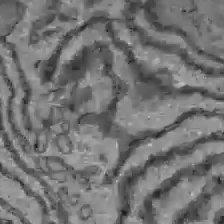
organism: C57BL Mouse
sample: Liver